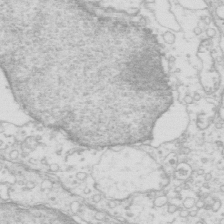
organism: Mouse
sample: Multiciliated cells